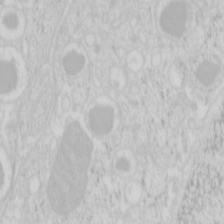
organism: Mouse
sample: Pancreas